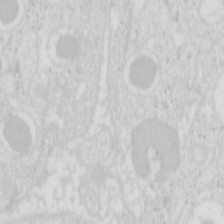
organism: Mouse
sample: Pancreas